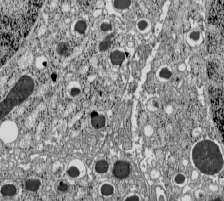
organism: C57BL Mouse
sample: Pancreatic islet